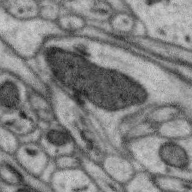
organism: Zebra finch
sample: Brain